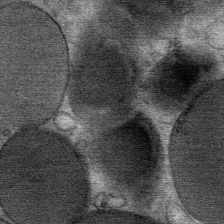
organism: Mouse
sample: Mouse Salivary gland